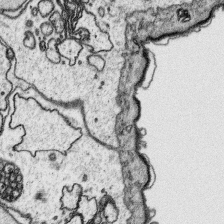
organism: Platynereis dumerilii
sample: Parapodia